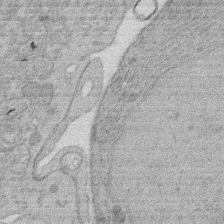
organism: Rat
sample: Salivary granule